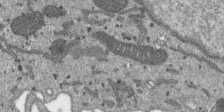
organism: Human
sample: Lung epithelial cells infected with SARS-CoV-2